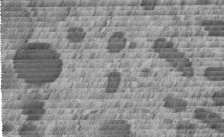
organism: C. elegans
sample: C. elegans embryo early stage